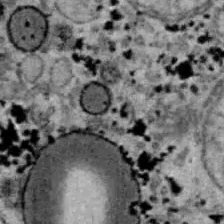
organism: Mouse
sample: Liver from an obese (ob/ob) mouse